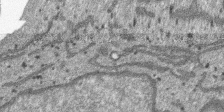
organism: Human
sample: Lung epithelial cells infected with SARS-CoV-2